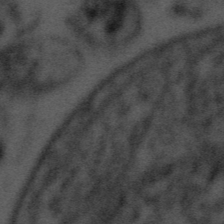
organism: Tuwongella immobilis